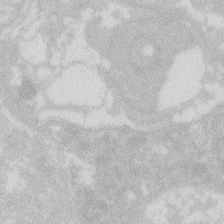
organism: Zebrafish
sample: Macrophage